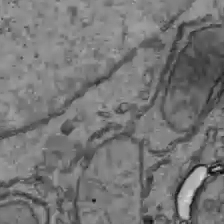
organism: C57BL Mouse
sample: Liver